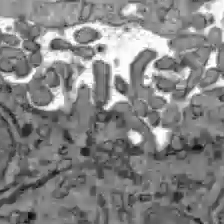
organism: C57BL Mouse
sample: Liver